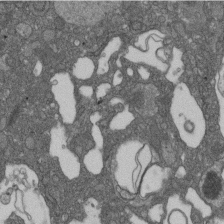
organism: Drosophila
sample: Nephrocyte